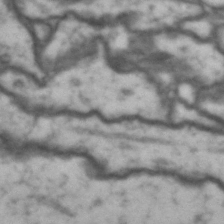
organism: Drosophila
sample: Brain